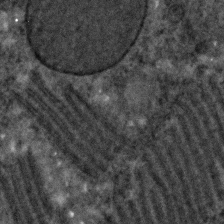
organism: C. elegans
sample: C. elegans embryo